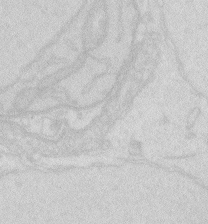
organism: Zebrafish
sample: Macrophage